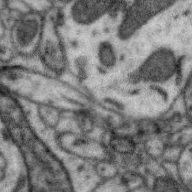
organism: Zebra finch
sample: Brain